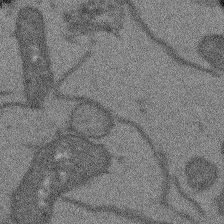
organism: Arabidopsis thaliana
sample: Root tip